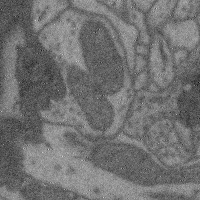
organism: Mouse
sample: Cerebral cortex